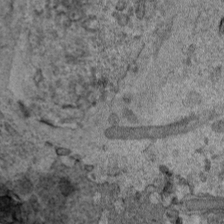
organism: Human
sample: Mitochondria in HCT116 cells